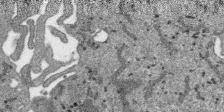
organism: Human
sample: Lung epithelial cells infected with SARS-CoV-2